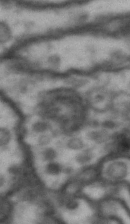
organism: Drosophila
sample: Brain